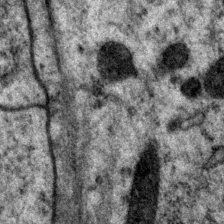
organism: P. pacificus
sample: Pharynx